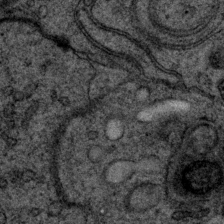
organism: P. pacificus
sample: Pharynx